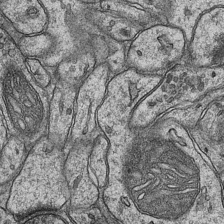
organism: Mouse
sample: CA1 Hippocampus